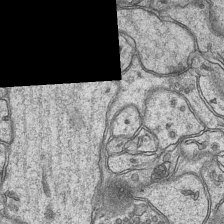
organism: Mouse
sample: CA1 Hippocampus